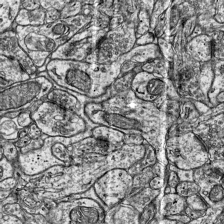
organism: Mouse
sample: Visual Cortex